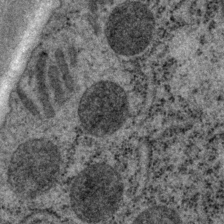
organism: P. pacificus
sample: Pharynx